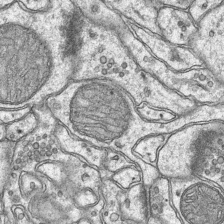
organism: Mouse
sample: CA1 Hippocampus